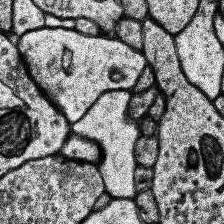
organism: Human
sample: Temporal Lobe